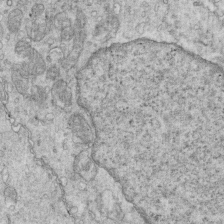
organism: Mouse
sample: Multiciliated cells